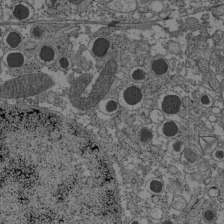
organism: C57BL Mouse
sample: Pancreatic islet